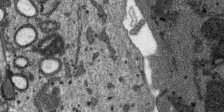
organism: Human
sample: Lung epithelial cells infected with SARS-CoV-2